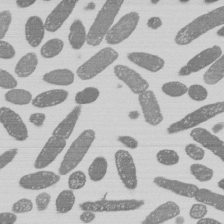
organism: E. coli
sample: Bacterial nucleoid